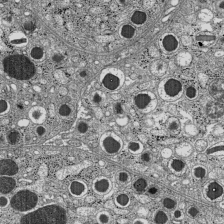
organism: C57BL Mouse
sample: Pancreatic islet